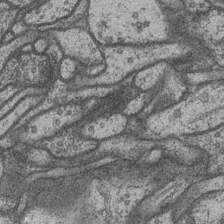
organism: Drosophila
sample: Optic medulla